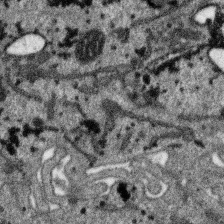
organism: Human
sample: Lung epithelial cells infected with SARS-CoV-2